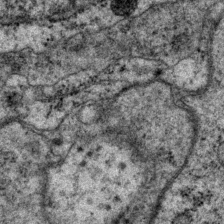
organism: P. pacificus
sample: Pharynx